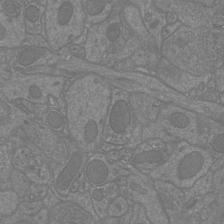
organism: Mouse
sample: Cortical neurons